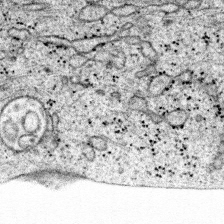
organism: Human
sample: HeLa cells